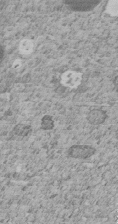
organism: C. elegans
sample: C. elegans embryo early stage